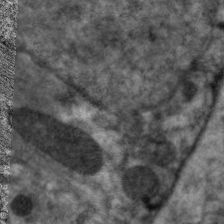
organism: C. elegans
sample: Pharynx